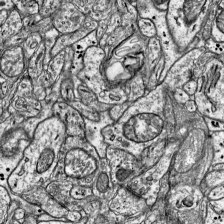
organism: Mouse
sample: Visual Cortex